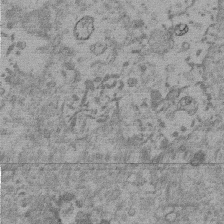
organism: Mouse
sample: Dividing mouse embryo 1 cell stage